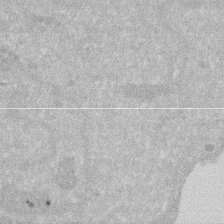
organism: Human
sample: HIV infected U937 cells